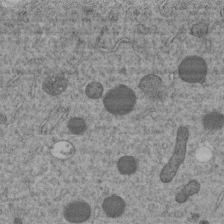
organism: C. elegans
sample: C. elegans embryo early stage